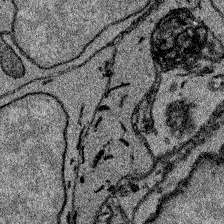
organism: Zebrafish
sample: Larval olfactory bulb